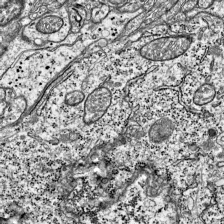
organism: Mouse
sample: Visual Cortex